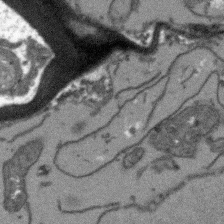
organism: Arabidopsis thaliana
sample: Root tip